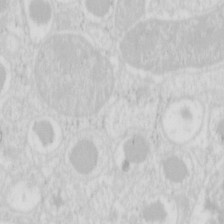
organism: Mouse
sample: Pancreas